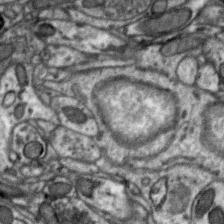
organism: Zebra finch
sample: Brain